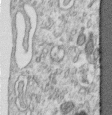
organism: Human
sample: Centriole in RPE cells